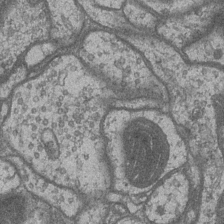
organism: Drosophila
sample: Optic medulla